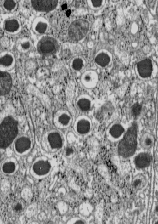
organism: C57BL Mouse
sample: Pancreatic islet